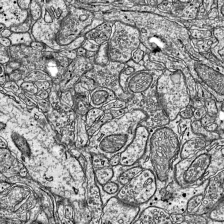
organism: Mouse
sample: Visual Cortex